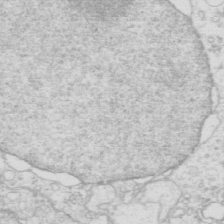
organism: Mouse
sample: Multiciliated cells